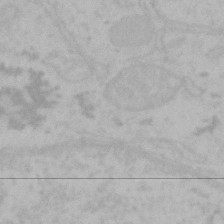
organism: Mouse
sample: Choroid plexus